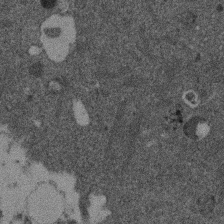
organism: Mouse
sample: Dividing mouse embryo 1 cell stage